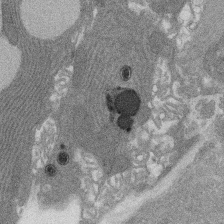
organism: Rat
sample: Salivary granule